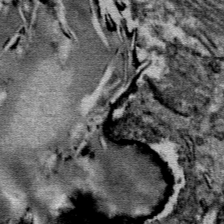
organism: Mouse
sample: Mouse Salivary gland